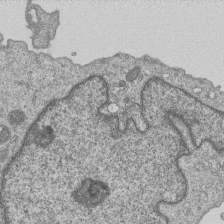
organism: Human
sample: MDA-MB-231 cells